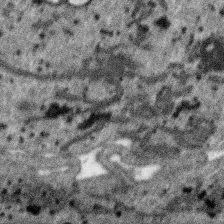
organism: Human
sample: Lung epithelial cells infected with SARS-CoV-2